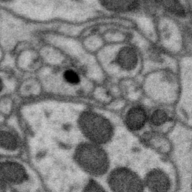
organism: Zebra finch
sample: Brain